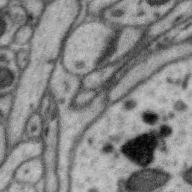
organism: Zebra finch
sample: Brain